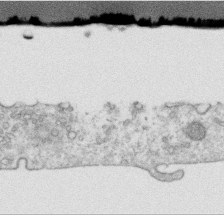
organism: Human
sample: Centriole in RPE cells